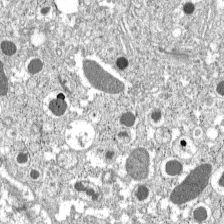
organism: C57BL Mouse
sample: Pancreatic islet